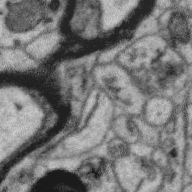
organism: Zebra finch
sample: Brain